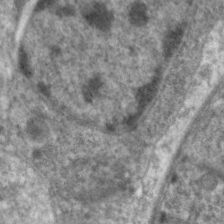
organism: C. elegans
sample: Pharynx